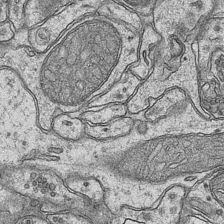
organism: Mouse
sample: CA1 Hippocampus